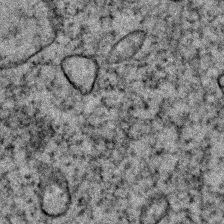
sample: Trachea